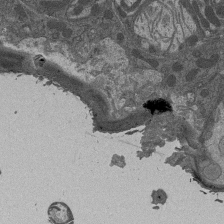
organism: Drosophila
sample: Antenna